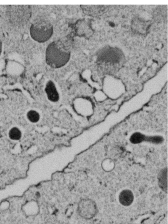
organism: C. elegans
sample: C. elegans embryo early stage